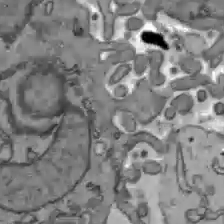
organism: C57BL Mouse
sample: Liver